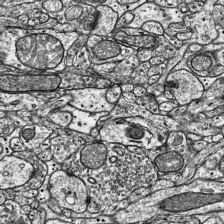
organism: Mouse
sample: Visual Cortex